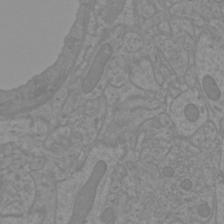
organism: Mouse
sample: Cortical neurons